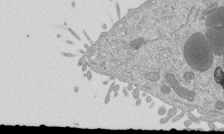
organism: Mouse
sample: ED-1 cell nuclei; centrioles